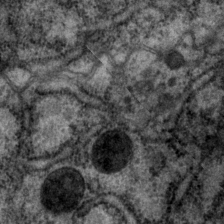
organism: P. pacificus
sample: Pharynx